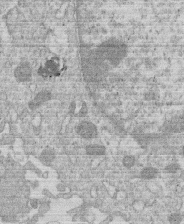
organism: Human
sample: Macrophage cells